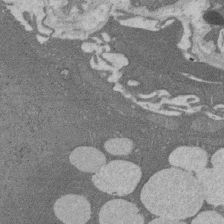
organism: Rat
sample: Salivary granule